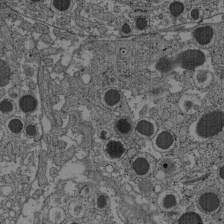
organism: C57BL Mouse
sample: Pancreatic islet